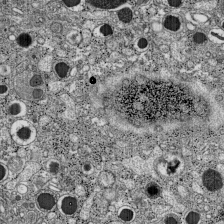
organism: C57BL Mouse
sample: Pancreatic islet